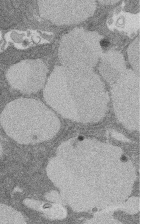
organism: Rat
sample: Salivary granule